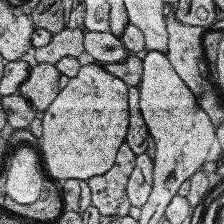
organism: Human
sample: Temporal Lobe